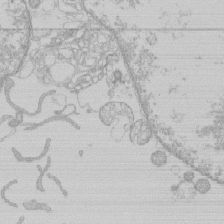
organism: Human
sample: Macrophage cells